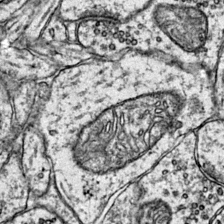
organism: Mouse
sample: Primary visual cortex